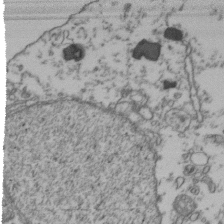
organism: Human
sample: Activated Jurkat CD4+ T cells